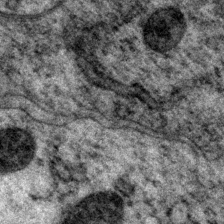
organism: P. pacificus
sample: Pharynx